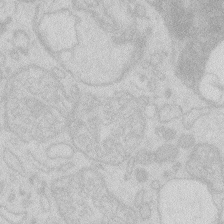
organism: Zebrafish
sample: Macrophage